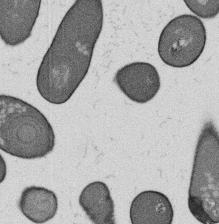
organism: B. subtilis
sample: Bacterial spore